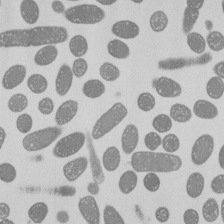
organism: E. coli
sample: Bacterial nucleoid